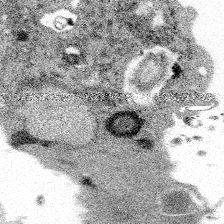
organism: Spongilla lacustris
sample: Multiple